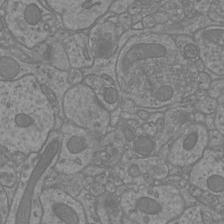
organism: Mouse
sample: Cortical neurons